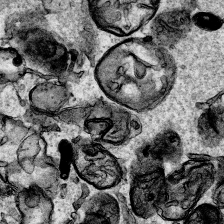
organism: Human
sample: Mitochondria in HCT116 cells